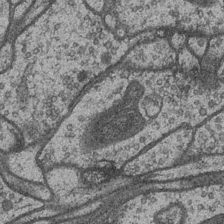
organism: Drosophila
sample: Optic medulla